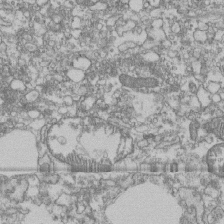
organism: Human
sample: Fibroblast cells